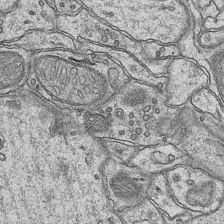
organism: Mouse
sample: CA1 Hippocampus